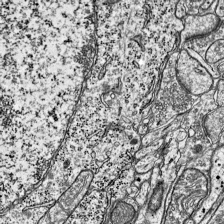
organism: Mouse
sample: Visual Cortex